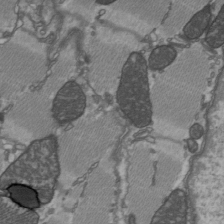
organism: C57BL Mouse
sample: Heart